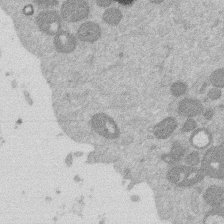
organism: Mouse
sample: Dividing mouse embryo 1 cell stage